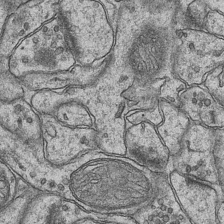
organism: Mouse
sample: CA1 Hippocampus